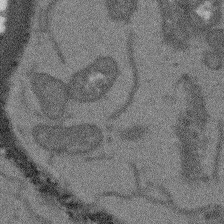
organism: Arabidopsis thaliana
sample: Root tip